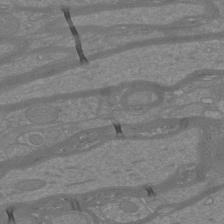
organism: Mouse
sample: Cortical neurons